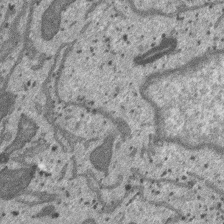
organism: Human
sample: Lung epithelial cells infected with SARS-CoV-2